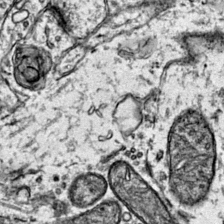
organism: Mouse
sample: Primary visual cortex